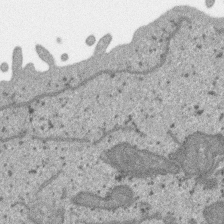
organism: Human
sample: Lung epithelial cells infected with SARS-CoV-2